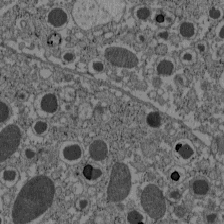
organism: C57BL Mouse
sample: Pancreatic islet